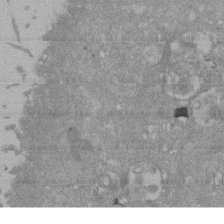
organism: Mouse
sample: ED-1 cell nuclei; centrioles